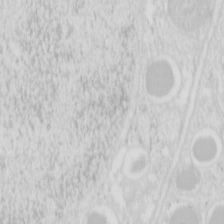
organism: Mouse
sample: Pancreas